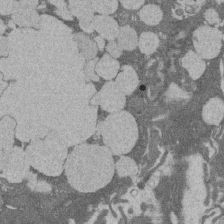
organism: Rat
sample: Salivary granule